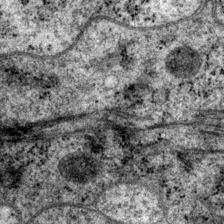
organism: P. pacificus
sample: Pharynx